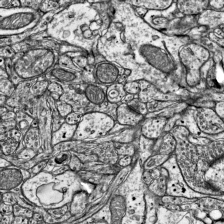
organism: Mouse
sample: Visual Cortex